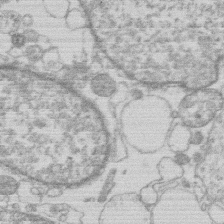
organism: Human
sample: Macrophage cells